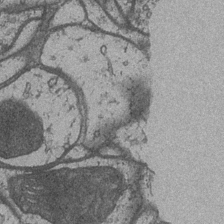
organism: Drosophila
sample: Optic medulla